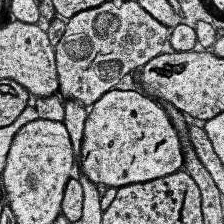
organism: Human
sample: Temporal Lobe